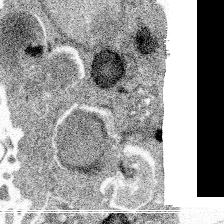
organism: Spongilla lacustris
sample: Multiple